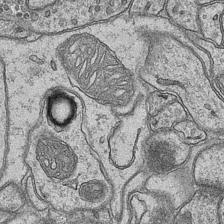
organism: Mouse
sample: CA1 Hippocampus